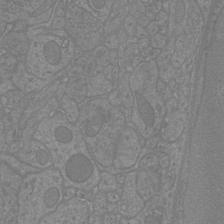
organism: Mouse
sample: Cortical neurons